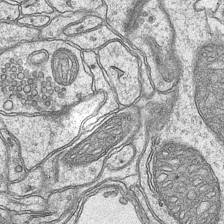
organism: Mouse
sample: CA1 Hippocampus